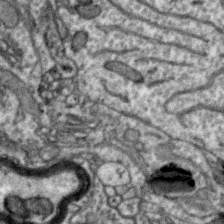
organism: Zebra finch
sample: Brain